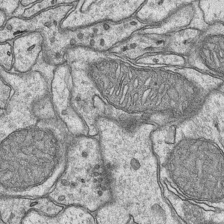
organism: Mouse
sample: CA1 Hippocampus